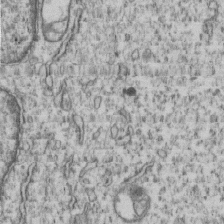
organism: Human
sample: MDA-MB-231 cells